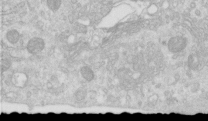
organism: Human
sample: Centriole in RPE cells